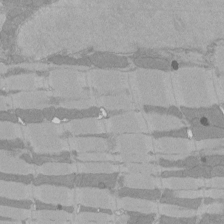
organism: Rat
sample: Left ventricle